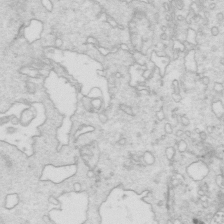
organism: Mouse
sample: Multiciliated cells